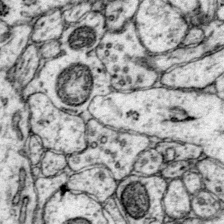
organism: Mouse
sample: Primary visual cortex